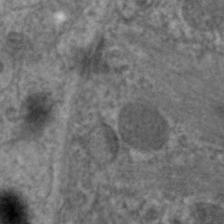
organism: C. elegans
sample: Pharynx